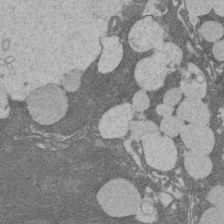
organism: Rat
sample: Salivary granule